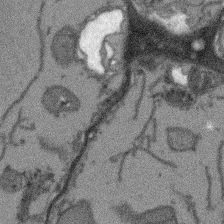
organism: Arabidopsis thaliana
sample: Root tip